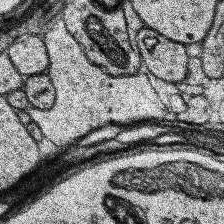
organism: Human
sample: Temporal Lobe